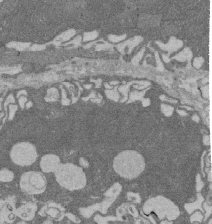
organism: Rat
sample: Salivary granule